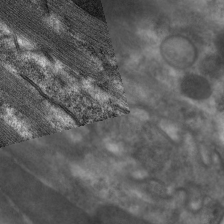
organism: C. elegans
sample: Pharynx